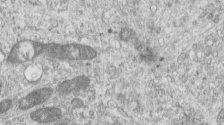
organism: Human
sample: Centriole in RPE cells